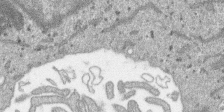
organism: Human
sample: Lung epithelial cells infected with SARS-CoV-2